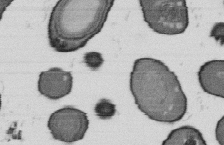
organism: B. subtilis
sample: Bacterial spore